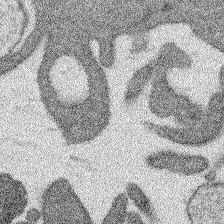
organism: Human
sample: HeLa cells